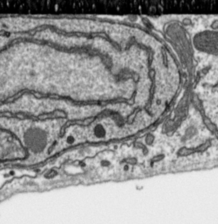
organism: Toxoplasma gondii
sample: Parasites in a vacuole inside a host cell